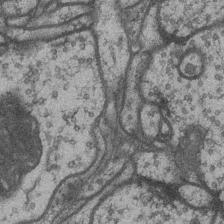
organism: Drosophila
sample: Optic medulla